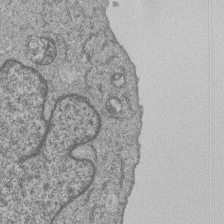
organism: Human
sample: MDA-MB-231 cells